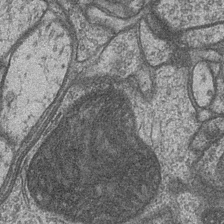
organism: Drosophila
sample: Optic medulla